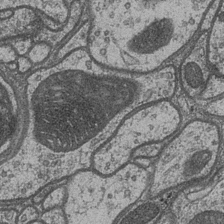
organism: Drosophila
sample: Optic medulla